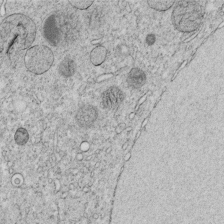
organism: C. elegans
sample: C. elegans embryo early stage